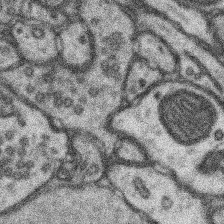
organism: Mouse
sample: Somatosensory cortex neuropil